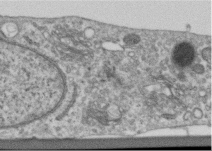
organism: Human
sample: Centriole in RPE cells